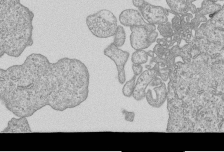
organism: Human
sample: MDA-MB-231 cells